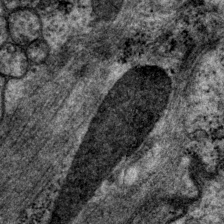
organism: P. pacificus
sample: Pharynx